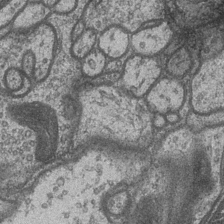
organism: Drosophila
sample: Optic medulla